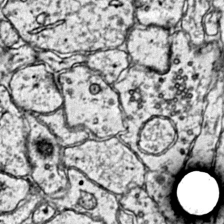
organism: Mouse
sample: Primary visual cortex